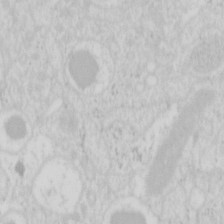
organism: Mouse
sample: Pancreas